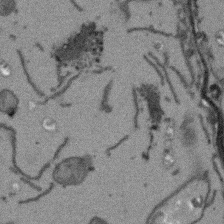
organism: Arabidopsis thaliana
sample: Root tip